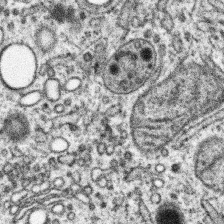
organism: Human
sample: HeLa cells